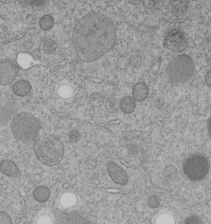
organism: C. elegans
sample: C. elegans embryo early stage